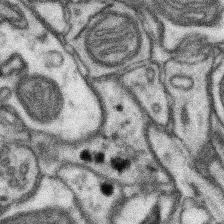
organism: Mouse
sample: Somatosensory cortex neuropil